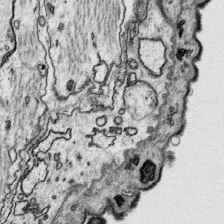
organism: Platynereis dumerilii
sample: Parapodia